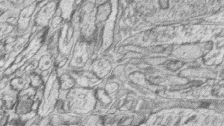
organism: Zebrafish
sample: synaptic ribbons in rod cells and cone cells